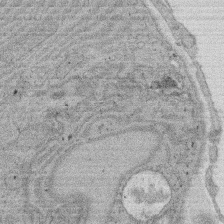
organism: Rat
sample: Salivary granule